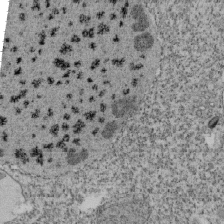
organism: Tetrahymena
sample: Cilia in tetrahymena